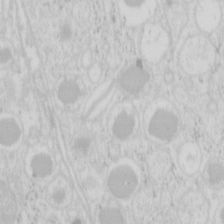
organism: Mouse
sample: Pancreas